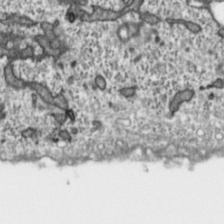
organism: Toxoplasma gondii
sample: Parasites in a vacuole inside a host cell